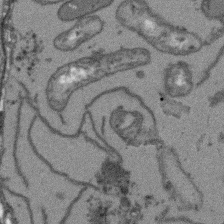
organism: Arabidopsis thaliana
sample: Root tip